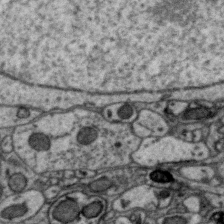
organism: Zebra finch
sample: Brain